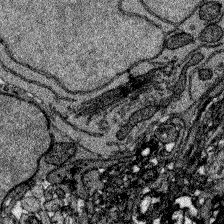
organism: Zebrafish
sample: Larval olfactory bulb